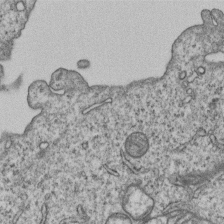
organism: Human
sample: MDA-MB-231 cells